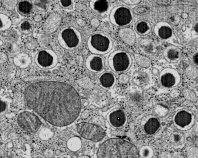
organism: C57BL Mouse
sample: Pancreatic islet